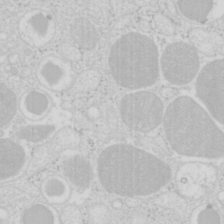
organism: Mouse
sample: Pancreas